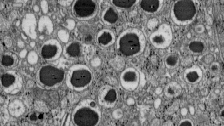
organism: C57BL Mouse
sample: Pancreatic islet